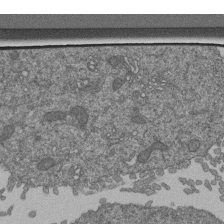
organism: Human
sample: Retinal organoid Rod and Cone cells